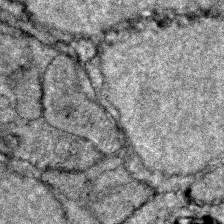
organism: Zebrafish